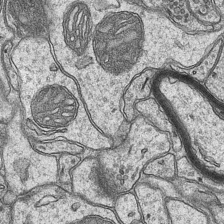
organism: Mouse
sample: CA1 Hippocampus